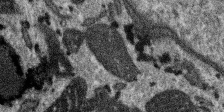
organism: Human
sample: Lung epithelial cells infected with SARS-CoV-2